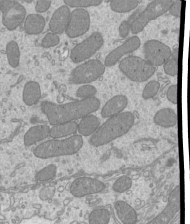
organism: Mouse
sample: Cilia; mouse epididymis